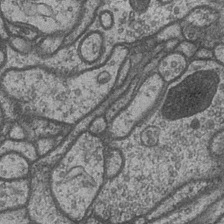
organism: Drosophila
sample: Optic medulla